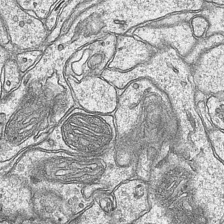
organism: Mouse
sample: CA1 Hippocampus